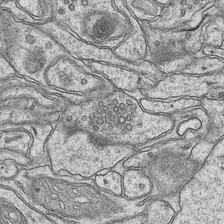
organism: Mouse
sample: CA1 Hippocampus